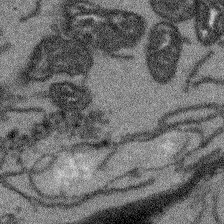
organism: Arabidopsis thaliana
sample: Root tip